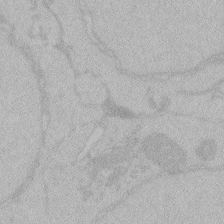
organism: Zebrafish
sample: Macrophage infected with Toxoplasma gondii